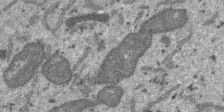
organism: Human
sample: Lung epithelial cells infected with SARS-CoV-2